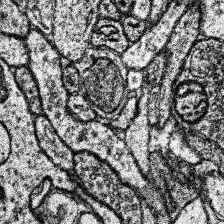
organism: Human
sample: Temporal Lobe